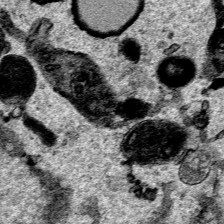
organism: Human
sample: Mitochondria in HCT116 cells